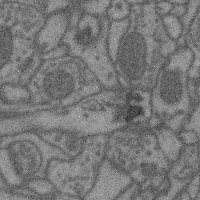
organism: Mouse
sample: Cerebral cortex